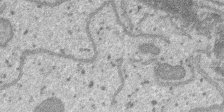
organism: Human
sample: Lung epithelial cells infected with SARS-CoV-2